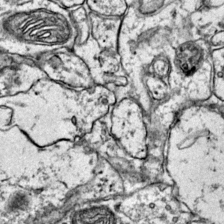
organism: Mouse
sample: Primary visual cortex